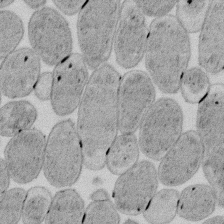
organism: E. coli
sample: Bacterial nucleoid